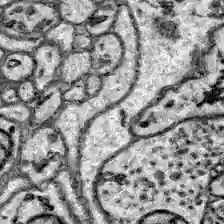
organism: Zebrafish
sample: Brain